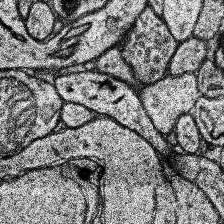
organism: Human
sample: Temporal Lobe